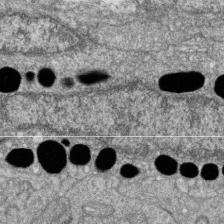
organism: Zebrafish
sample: Cilia; retinal pigment epithelium